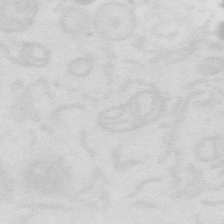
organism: Human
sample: HeLa cells